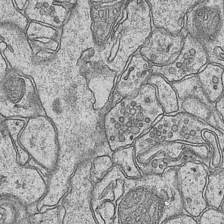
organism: Mouse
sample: CA1 Hippocampus